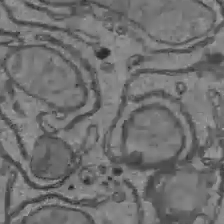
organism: C57BL Mouse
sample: Liver